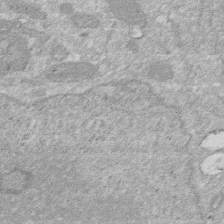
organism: Human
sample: HIV infected U937 cells